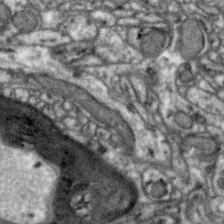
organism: Zebra finch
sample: Brain